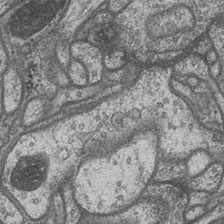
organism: Drosophila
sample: Optic medulla